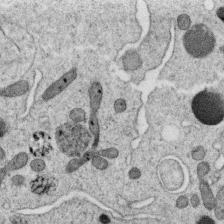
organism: C. elegans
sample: C. elegans oocyte; sperm cells